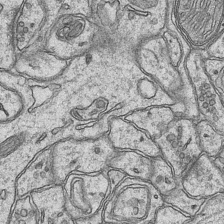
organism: Mouse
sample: CA1 Hippocampus